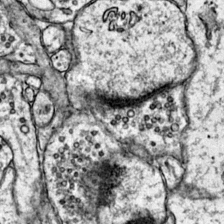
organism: Mouse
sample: Primary visual cortex